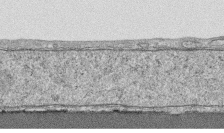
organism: Human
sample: CRL-1474